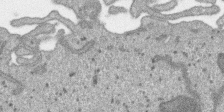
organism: Human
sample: Lung epithelial cells infected with SARS-CoV-2